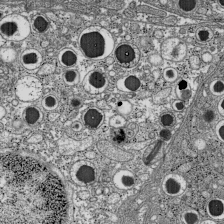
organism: C57BL Mouse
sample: Pancreatic islet